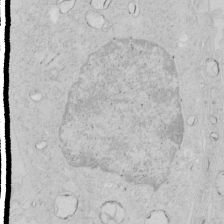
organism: Human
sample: Mitochondria in HCT116 cells